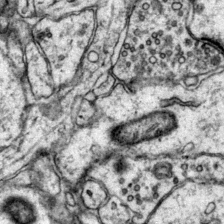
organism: Mouse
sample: Primary visual cortex